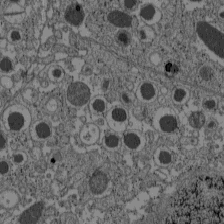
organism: C57BL Mouse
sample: Pancreatic islet